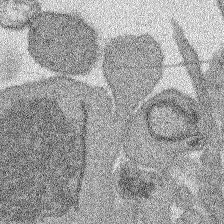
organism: Human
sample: HeLa cells